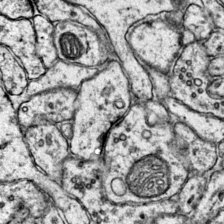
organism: Mouse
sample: Primary visual cortex